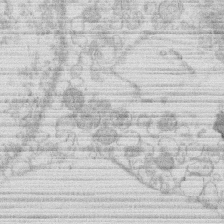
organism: Human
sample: Macrophage cells